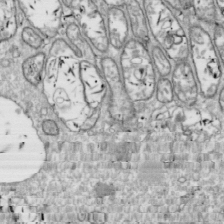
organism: Drosophila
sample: Cell division; meiosis; drosophila spermatocytes